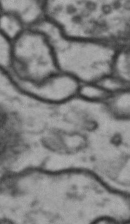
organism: Drosophila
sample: Brain